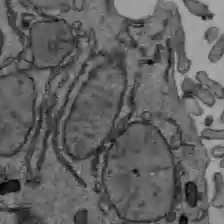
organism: C57BL Mouse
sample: Liver